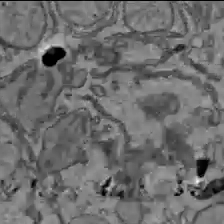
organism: C57BL Mouse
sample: Liver